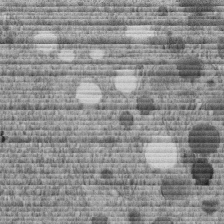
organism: C. elegans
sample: C. elegans embryo early stage